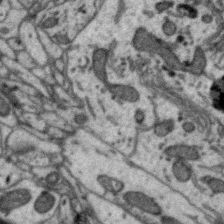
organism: Zebra finch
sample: Brain